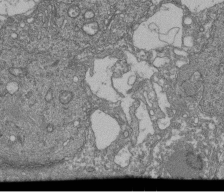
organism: Human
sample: Retinal organoid Rod and Cone cells